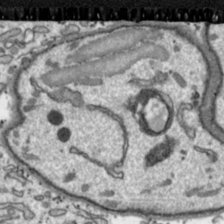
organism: Toxoplasma gondii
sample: Parasites in a vacuole inside a host cell